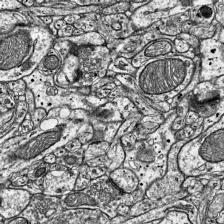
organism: Mouse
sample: Visual Cortex